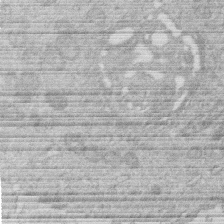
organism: Human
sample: Macrophage cells